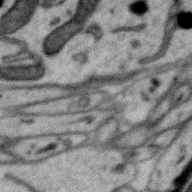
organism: Zebra finch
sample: Brain